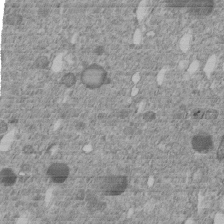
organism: C. elegans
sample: C. elegans embryo early stage